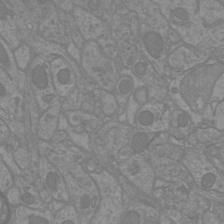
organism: Mouse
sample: Cortical neurons